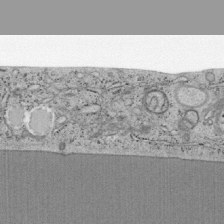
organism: Human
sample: HeLa cells